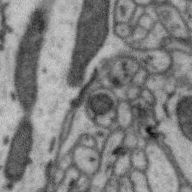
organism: Zebra finch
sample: Brain